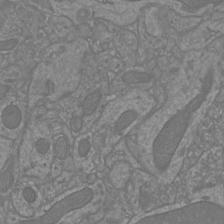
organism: Mouse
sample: Cortical neurons